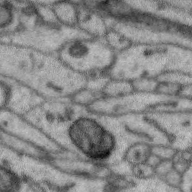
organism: Zebra finch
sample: Brain